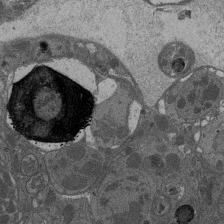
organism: Drosophila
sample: Antenna